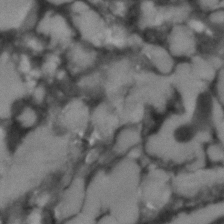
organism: C. elegans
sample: C. elegans embryo